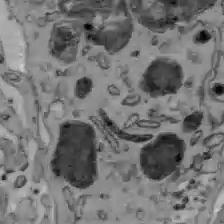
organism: C57BL Mouse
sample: Liver